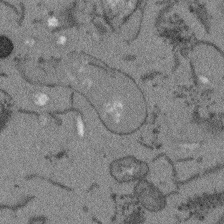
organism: Arabidopsis thaliana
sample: Root tip